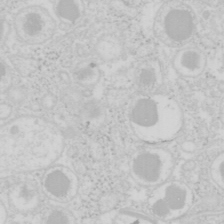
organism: Mouse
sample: Pancreas